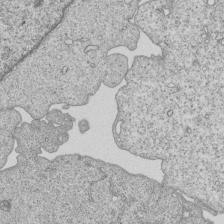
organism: Human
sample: MDA-MB-231 cells